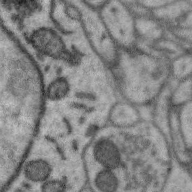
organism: Zebra finch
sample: Brain